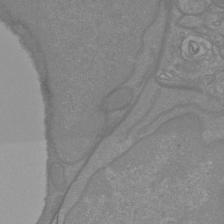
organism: Mouse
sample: Cortical neurons